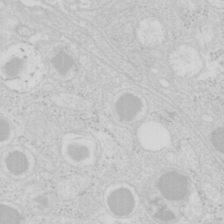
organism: Mouse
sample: Pancreas